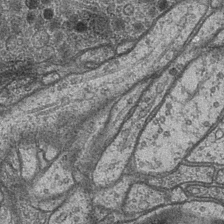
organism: Drosophila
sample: Optic medulla